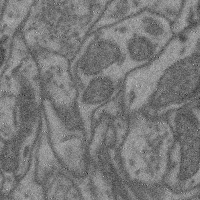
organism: Mouse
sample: Cerebral cortex